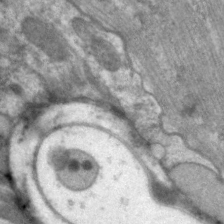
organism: C. elegans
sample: Pharynx